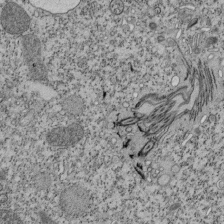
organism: Tetrahymena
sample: Cilia in tetrahymena